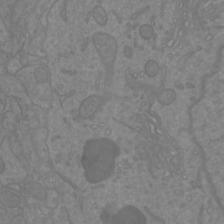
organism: Mouse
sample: Cortical neurons